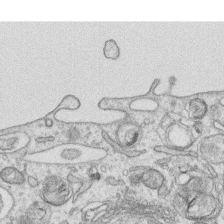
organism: Human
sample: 1205lu cells